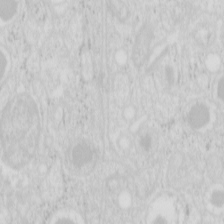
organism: Mouse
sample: Pancreas